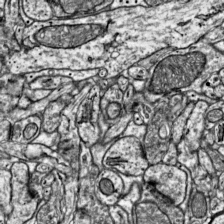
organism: Mouse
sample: Visual Cortex